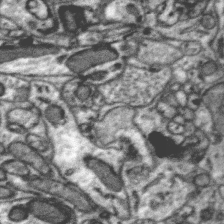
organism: Zebra finch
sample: Brain